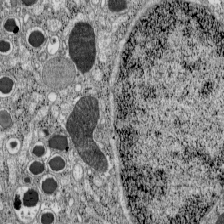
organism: C57BL Mouse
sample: Pancreatic islet